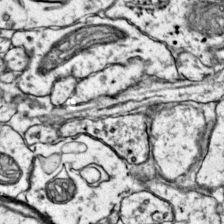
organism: Mouse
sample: Primary visual cortex